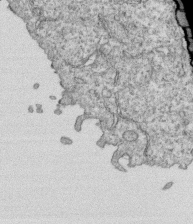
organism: Human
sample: HeLa cell HIV synapse